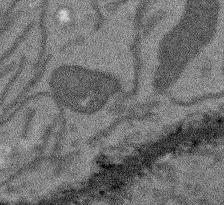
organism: Arabidopsis thaliana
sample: Root tip